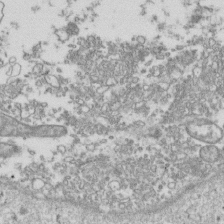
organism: Human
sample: Activated Jurkat CD4+ T cells